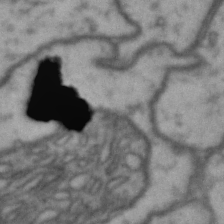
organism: Drosophila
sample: Brain